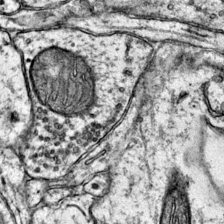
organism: Mouse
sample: Primary visual cortex